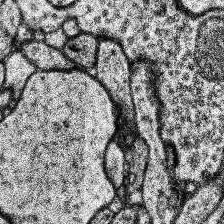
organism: Human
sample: Temporal Lobe